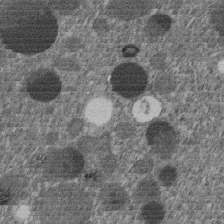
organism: C. elegans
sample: C. elegans embryo early stage